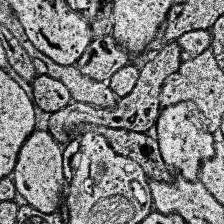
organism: Human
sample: Temporal Lobe